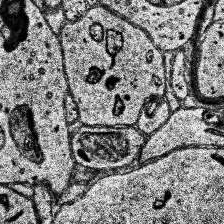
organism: Human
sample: Temporal Lobe